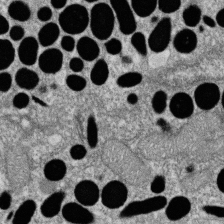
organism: Zebrafish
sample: Cilia; retinal pigment epithelium